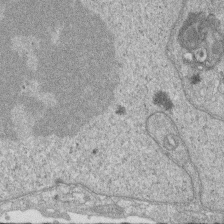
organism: Human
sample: HeLa cell HIV synapse